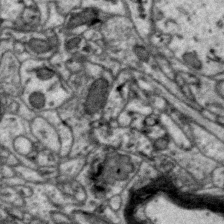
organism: Zebra finch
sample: Brain